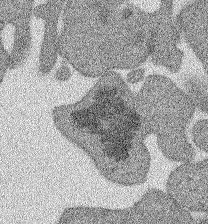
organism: Human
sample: HeLa cells